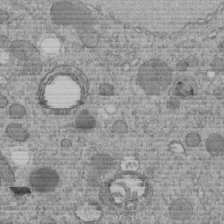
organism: C. elegans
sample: C. elegans embryo early stage